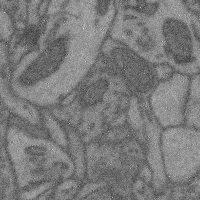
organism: Mouse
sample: Cerebral cortex